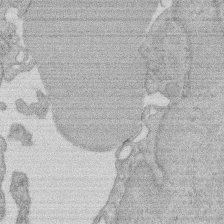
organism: Rat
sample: Salivary granule